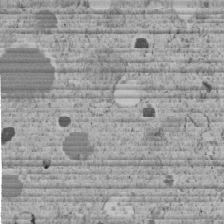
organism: C. elegans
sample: C. elegans embryo early stage